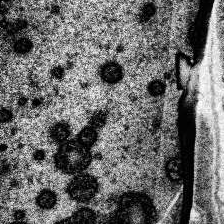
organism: Human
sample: Temporal Lobe